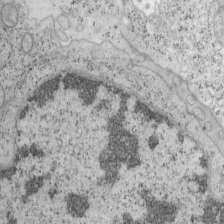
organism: Mouse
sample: OT-I killer T cells with ID8 ovarian cancer cells